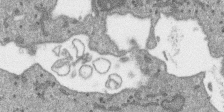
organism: Human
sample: Lung epithelial cells infected with SARS-CoV-2